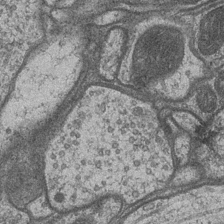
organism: Drosophila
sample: Optic medulla